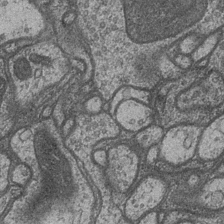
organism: Drosophila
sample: Optic medulla